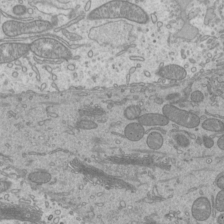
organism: Mouse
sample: Cilia; mouse epididymis